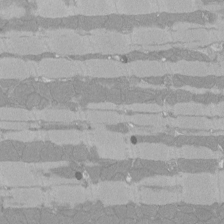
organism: Rat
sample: Left ventricle